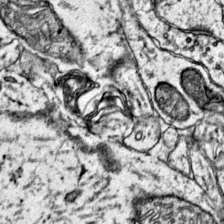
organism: Mouse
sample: Primary visual cortex